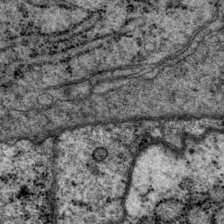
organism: P. pacificus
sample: Pharynx